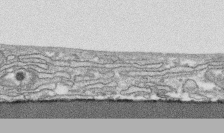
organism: Human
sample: CRL-1474